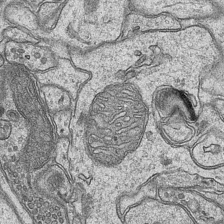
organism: Mouse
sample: CA1 Hippocampus